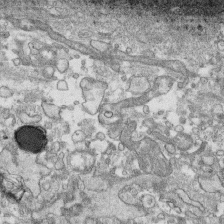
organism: Human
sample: CRL-1474